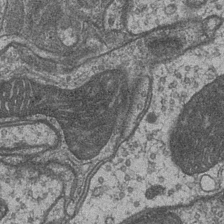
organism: Drosophila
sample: Optic medulla